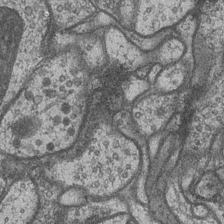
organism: Drosophila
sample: Optic medulla